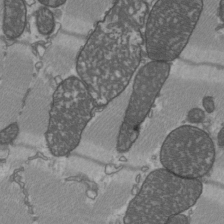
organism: C57BL Mouse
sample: Heart